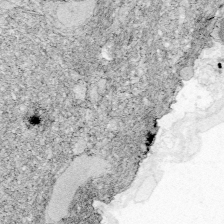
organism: Zebrafish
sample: Whole-Brain